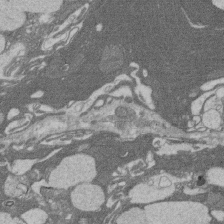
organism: Rat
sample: Salivary granule